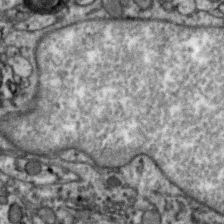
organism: Zebra finch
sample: Brain